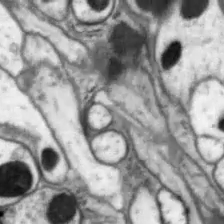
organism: Drosophila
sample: Optic lobe